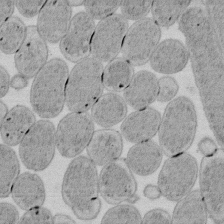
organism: E. coli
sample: Bacterial nucleoid